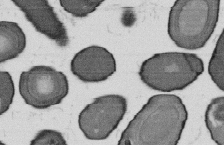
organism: B. subtilis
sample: Bacterial spore